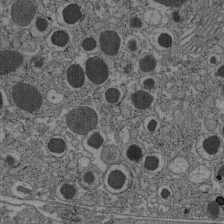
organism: C57BL Mouse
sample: Pancreatic islet